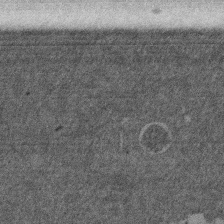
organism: Mouse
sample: Dividing mouse embryo 1 cell stage